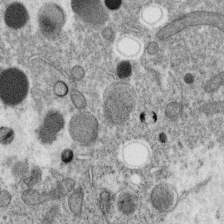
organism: C. elegans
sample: C. elegans oocyte; sperm cells